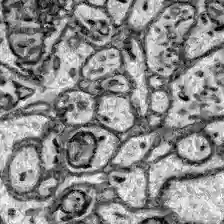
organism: Zebrafish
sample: Brain